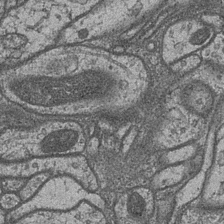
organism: Drosophila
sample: Optic medulla